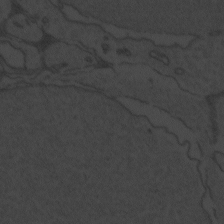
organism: Zebrafish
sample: Macrophage infected with Toxoplasma gondii